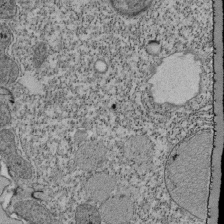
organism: Tetrahymena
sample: Cilia in tetrahymena